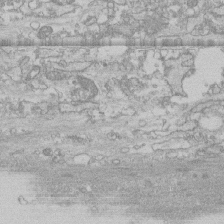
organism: Human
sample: CRL-1474